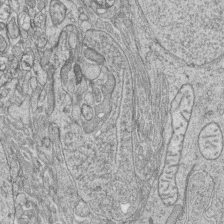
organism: Zebrafish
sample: synaptic ribbons in rod cells and cone cells